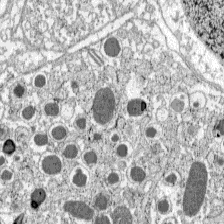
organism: C57BL Mouse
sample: Pancreatic islet